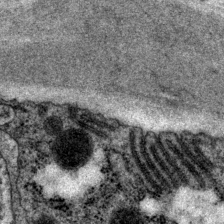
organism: P. pacificus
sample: Pharynx